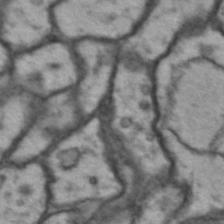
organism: Drosophila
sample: Brain